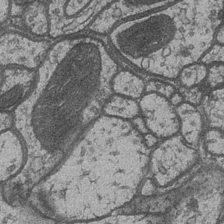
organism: Drosophila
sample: Optic medulla